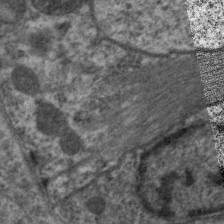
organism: C. elegans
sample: Pharynx